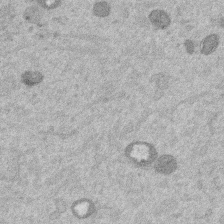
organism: Mouse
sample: Dividing mouse embryo 1 cell stage